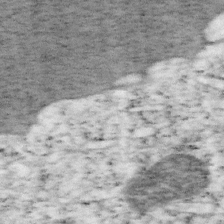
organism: Mouse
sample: OT-I killer T cells with ID8 ovarian cancer cells